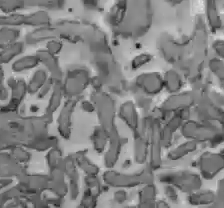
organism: C57BL Mouse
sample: Liver